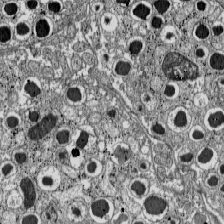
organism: C57BL Mouse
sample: Pancreatic islet